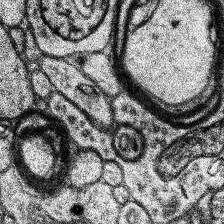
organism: Human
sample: Temporal Lobe